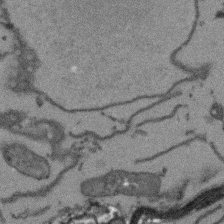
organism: Arabidopsis thaliana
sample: Root tip